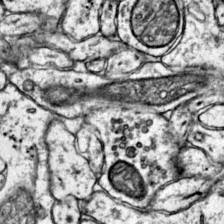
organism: Mouse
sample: Primary visual cortex